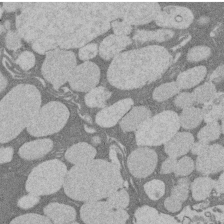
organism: Rat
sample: Salivary granule